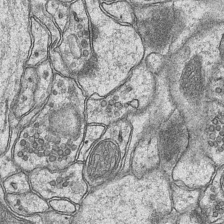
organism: Mouse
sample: CA1 Hippocampus